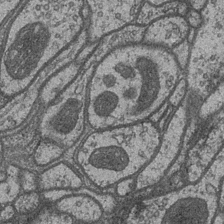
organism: Drosophila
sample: Optic medulla